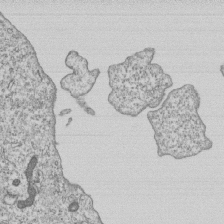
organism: Human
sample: MDA-MB-231 cells